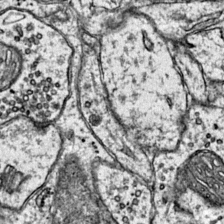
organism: Mouse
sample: Primary visual cortex